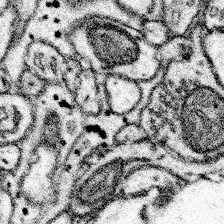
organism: Mouse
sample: Somatosensory cortex neuropil